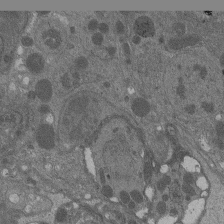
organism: Drosophila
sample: Antenna